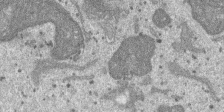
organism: Human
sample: Lung epithelial cells infected with SARS-CoV-2